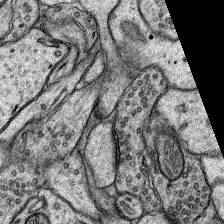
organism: Rat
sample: Hippocampus